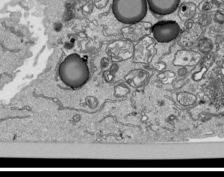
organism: Human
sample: Mitochondria in HCT116 cells